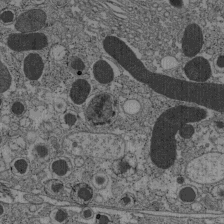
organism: C57BL Mouse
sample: Pancreatic islet